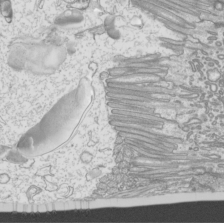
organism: Mouse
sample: Cilia; mouse epididymis